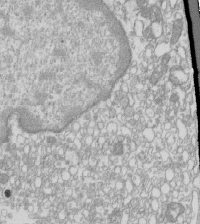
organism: Mouse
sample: Macrophages